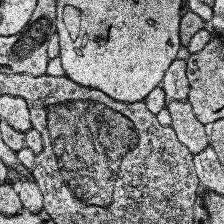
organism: Human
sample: Temporal Lobe